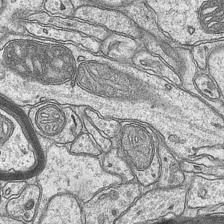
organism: Mouse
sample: CA1 Hippocampus